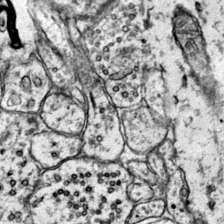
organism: Mouse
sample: Primary visual cortex